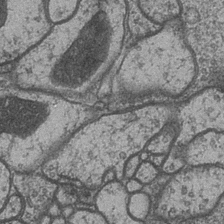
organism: Drosophila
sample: Optic medulla